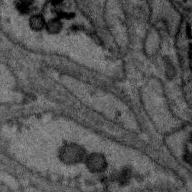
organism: Zebra finch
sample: Brain